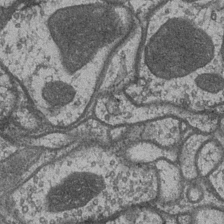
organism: Drosophila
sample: Optic medulla